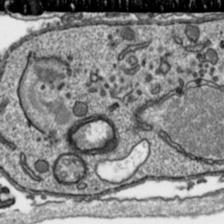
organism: Toxoplasma gondii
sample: Parasites in a vacuole inside a host cell